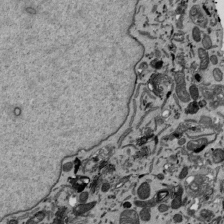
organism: Mouse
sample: ED-1 cell nuclei; centrioles